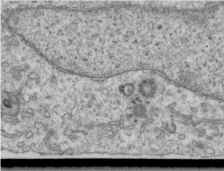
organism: Human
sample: Centriole in RPE cells